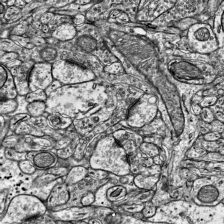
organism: Mouse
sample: Visual Cortex